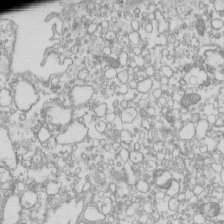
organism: Mouse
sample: Macrophages